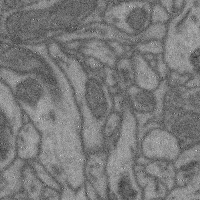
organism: Mouse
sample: Cerebral cortex